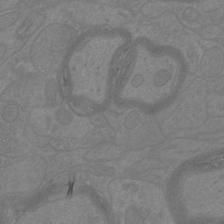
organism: Mouse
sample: Cortical neurons